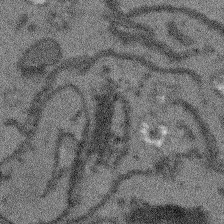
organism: Arabidopsis thaliana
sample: Root tip